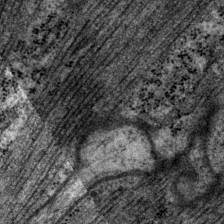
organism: P. pacificus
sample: Pharynx